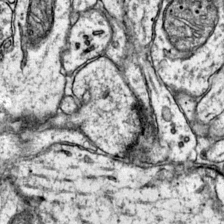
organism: Mouse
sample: Primary visual cortex